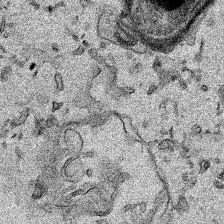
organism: Human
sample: Mitochondria in HCT116 cells